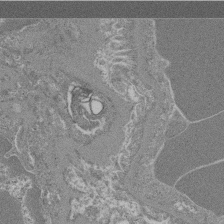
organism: Mouse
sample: Glomerulus